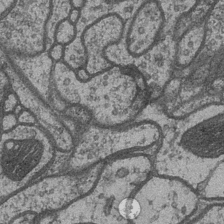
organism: Drosophila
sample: Optic medulla